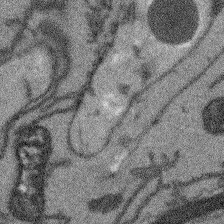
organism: Arabidopsis thaliana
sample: Root tip